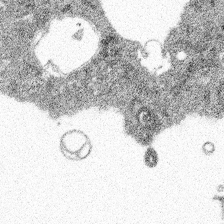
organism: Spongilla lacustris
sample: Multiple